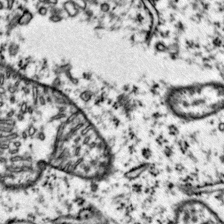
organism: Mouse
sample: Primary visual cortex